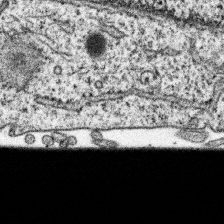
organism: Human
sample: HeLa cells